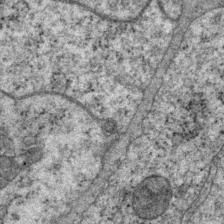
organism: P. pacificus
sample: Pharynx